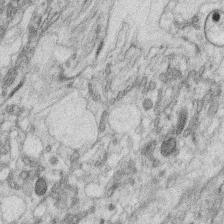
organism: C. elegans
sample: C. elegans oocyte; sperm cells